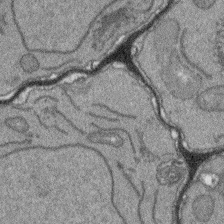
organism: Arabidopsis thaliana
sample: Root tip